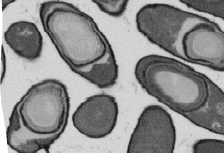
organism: B. subtilis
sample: Bacterial spore